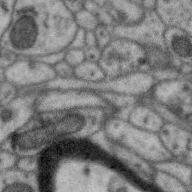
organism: Zebra finch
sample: Brain